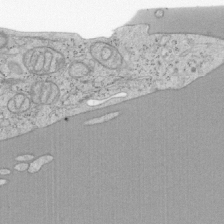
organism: Human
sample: HeLa cells